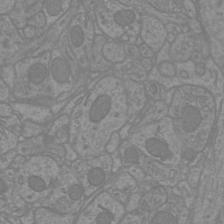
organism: Mouse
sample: Cortical neurons